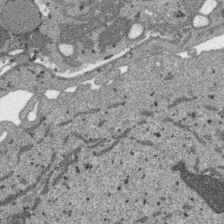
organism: Human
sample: Lung epithelial cells infected with SARS-CoV-2